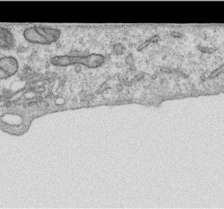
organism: Human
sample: Centriole in RPE cells